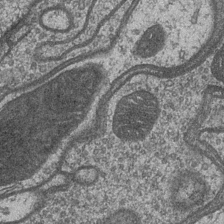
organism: Drosophila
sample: Optic medulla